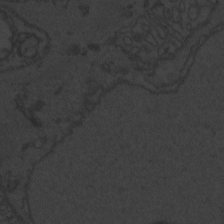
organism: Zebrafish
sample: Macrophage infected with Toxoplasma gondii